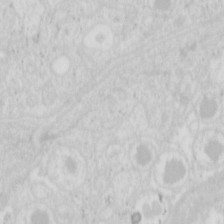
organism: Mouse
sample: Pancreas